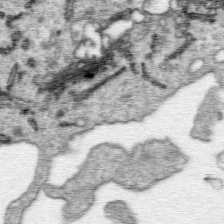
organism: Human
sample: HeLa cells